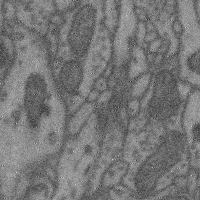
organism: Mouse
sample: Cerebral cortex